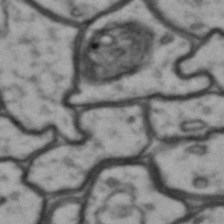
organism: Drosophila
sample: Brain